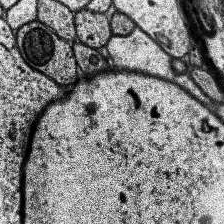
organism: Human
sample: Temporal Lobe